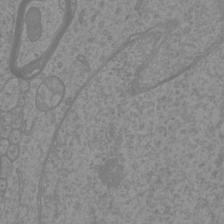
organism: Mouse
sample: Cortical neurons